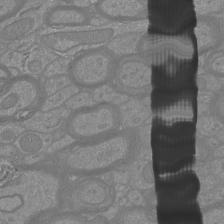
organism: Mouse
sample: Cortical neurons